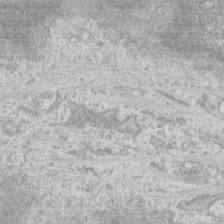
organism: Human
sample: CRL-1474